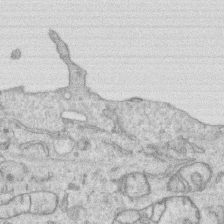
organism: Human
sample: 1205lu cells